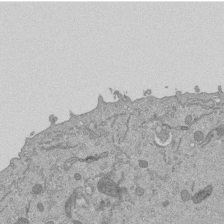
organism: Mouse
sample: ED-1 cell nuclei; centrioles